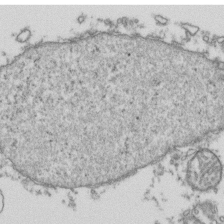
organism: Human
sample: Activated Jurkat CD4+ T cells